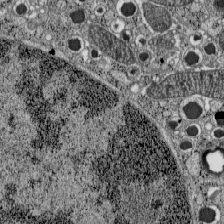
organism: C57BL Mouse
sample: Pancreatic islet